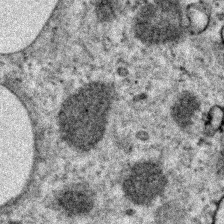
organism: Zebrafish